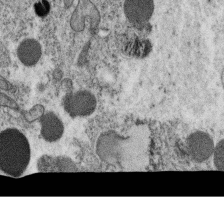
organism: C. elegans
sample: C. elegans oocyte; sperm cells